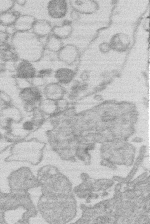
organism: Human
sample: Macrophage cells